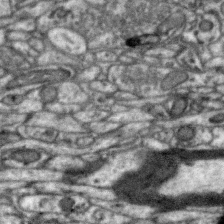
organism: Zebra finch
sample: Brain